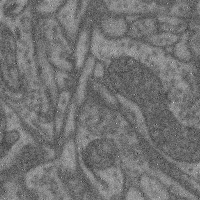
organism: Mouse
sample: Cerebral cortex